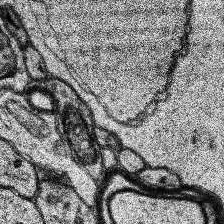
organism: Human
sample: Temporal Lobe